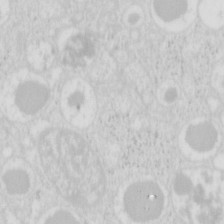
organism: Mouse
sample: Pancreas